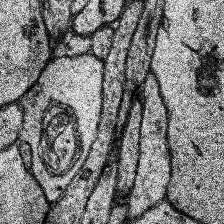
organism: Human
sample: Temporal Lobe